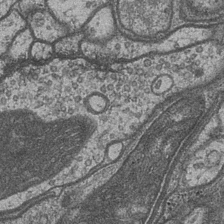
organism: Drosophila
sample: Optic medulla